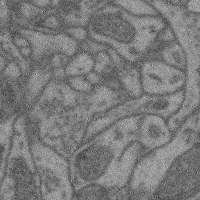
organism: Mouse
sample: Cerebral cortex